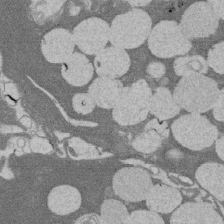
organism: Rat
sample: Salivary granule